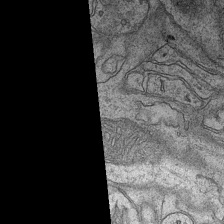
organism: Mouse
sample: CA1 Hippocampus